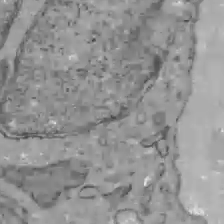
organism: C57BL Mouse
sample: Liver